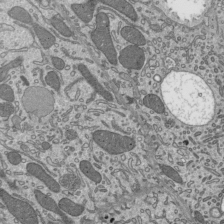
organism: Mouse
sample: Mouse epididymis efferent ductule cilia